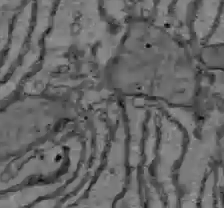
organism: C57BL Mouse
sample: Liver